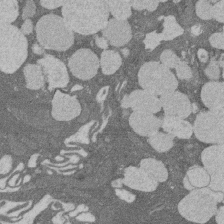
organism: Rat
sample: Salivary granule